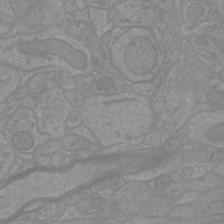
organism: Mouse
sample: Cortical neurons